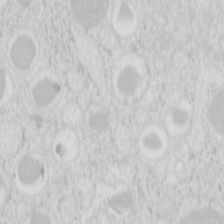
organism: Mouse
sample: Pancreas